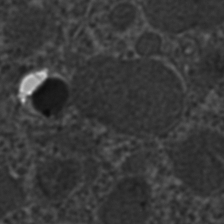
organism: C. elegans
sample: C. elegans embryo